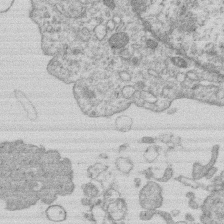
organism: Human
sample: Macrophage cells